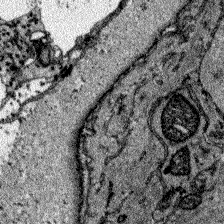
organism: Zebrafish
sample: Larval olfactory bulb